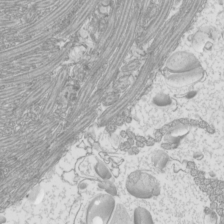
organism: Mouse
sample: Cilia; mouse epididymis